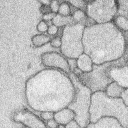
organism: Rabbit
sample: Retina